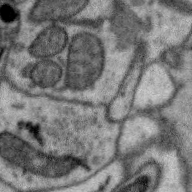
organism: Zebra finch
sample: Brain